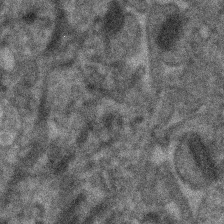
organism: Human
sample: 1205lu cells